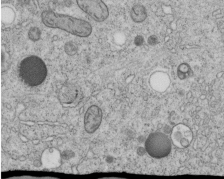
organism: C. elegans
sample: C. elegans embryo early stage